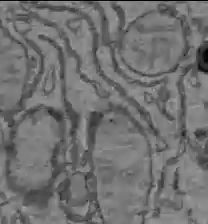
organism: C57BL Mouse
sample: Liver